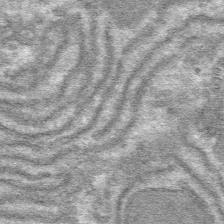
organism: Mouse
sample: Mouse hepatocytes